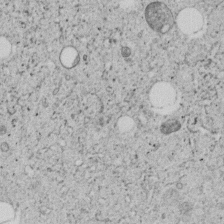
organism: C. elegans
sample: C. elegans embryo early stage